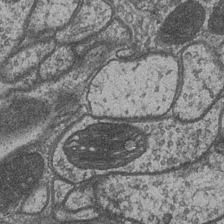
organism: Drosophila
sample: Optic medulla